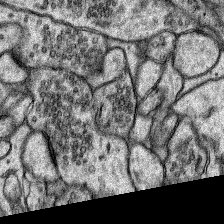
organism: Rat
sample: Hippocampus